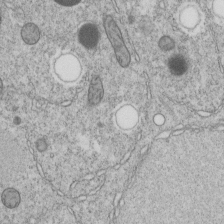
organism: C. elegans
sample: C. elegans embryo early stage